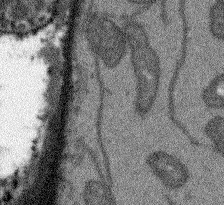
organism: Arabidopsis thaliana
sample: Root tip